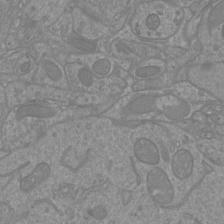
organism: Mouse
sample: Cortical neurons